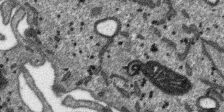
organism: Human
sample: Lung epithelial cells infected with SARS-CoV-2